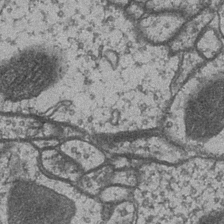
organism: Drosophila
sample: Optic medulla